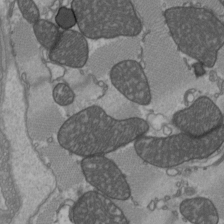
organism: C57BL Mouse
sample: Heart